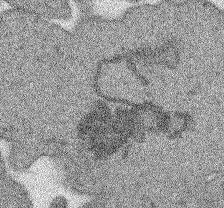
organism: Human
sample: HeLa cells